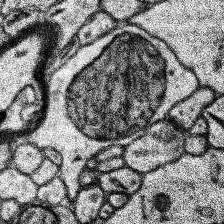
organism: Human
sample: Temporal Lobe